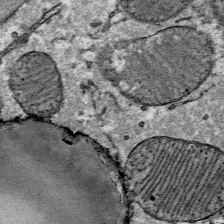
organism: Mouse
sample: Mouse Salivary gland